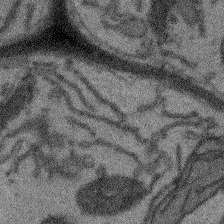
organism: Arabidopsis thaliana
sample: Root tip